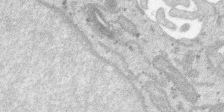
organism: Human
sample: Lung epithelial cells infected with SARS-CoV-2